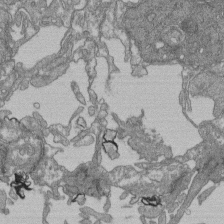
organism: Human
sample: Retinal organoid Rod and Cone cells